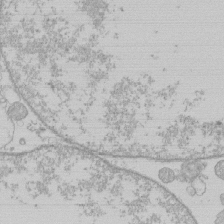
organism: Human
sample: Macrophage cells